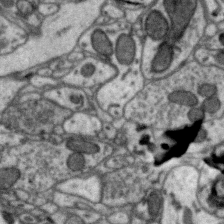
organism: Zebra finch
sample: Brain